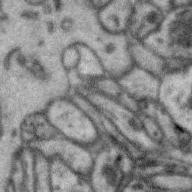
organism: Zebra finch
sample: Brain